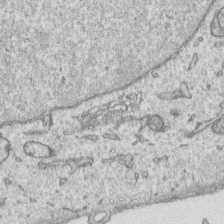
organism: Human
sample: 1205lu cells